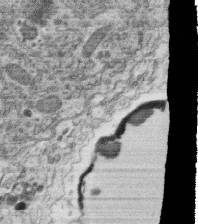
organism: C. elegans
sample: C. elegans oocyte; sperm cells